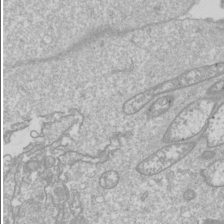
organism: Drosophila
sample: Cell division; meiosis; drosophila spermatocytes